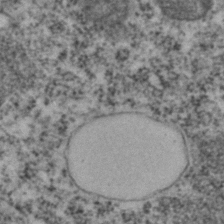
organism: C. elegans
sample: C. elegans embryo